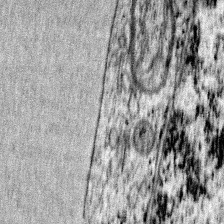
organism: Human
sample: HeLa cells